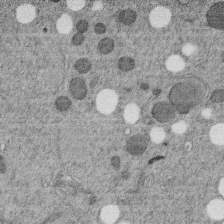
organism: C. elegans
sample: C. elegans embryo early stage